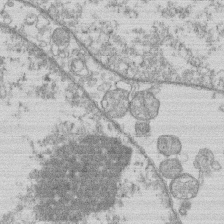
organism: Human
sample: Macrophage cells